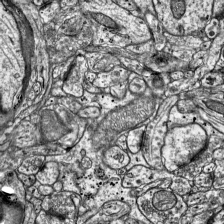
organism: Mouse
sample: Visual Cortex